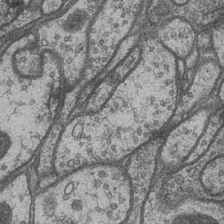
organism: Drosophila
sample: Optic medulla